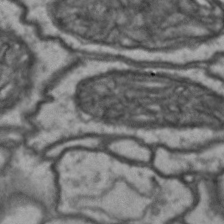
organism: Drosophila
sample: Brain